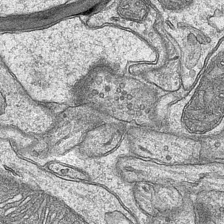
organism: Mouse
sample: CA1 Hippocampus